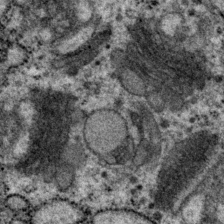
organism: P. pacificus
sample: Pharynx